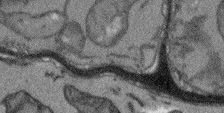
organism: Arabidopsis thaliana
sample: Root tip